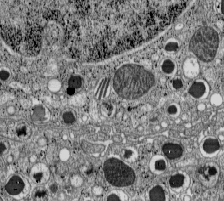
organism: C57BL Mouse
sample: Pancreatic islet